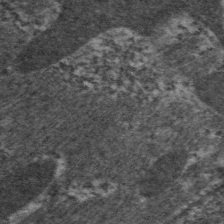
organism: C. elegans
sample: Pharynx